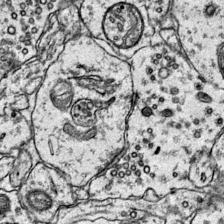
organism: Mouse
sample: Primary visual cortex